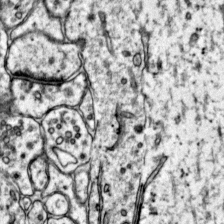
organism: Mouse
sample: Primary visual cortex